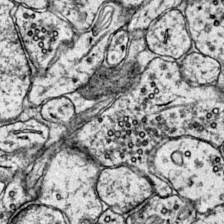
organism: Mouse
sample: Primary visual cortex